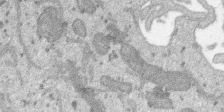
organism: Human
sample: Lung epithelial cells infected with SARS-CoV-2